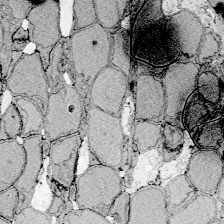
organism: Zebrafish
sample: Whole-Brain